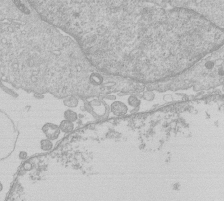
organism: Human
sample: Macrophage cells